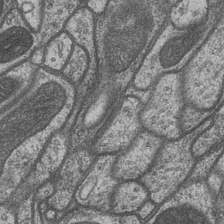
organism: Drosophila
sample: Optic medulla